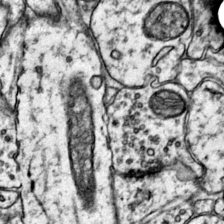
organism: Mouse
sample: Primary visual cortex